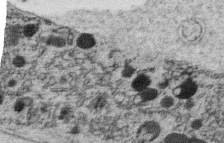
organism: C. elegans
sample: C. elegans oocyte; sperm cells